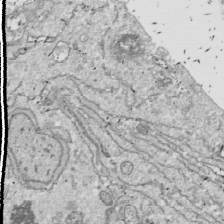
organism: Drosophila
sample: Cell division; meiosis; drosophila spermatocytes